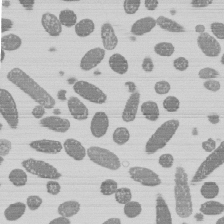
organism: E. coli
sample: Bacterial nucleoid